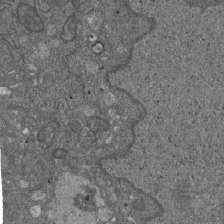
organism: Drosophila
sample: Nephrocyte